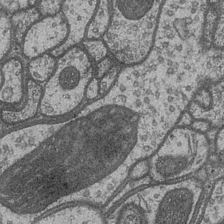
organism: Drosophila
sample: Optic medulla